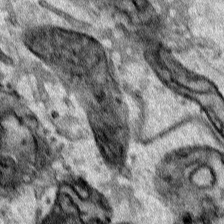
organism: Human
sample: Mitochondria in HCT116 cells